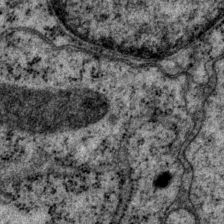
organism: P. pacificus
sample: Pharynx